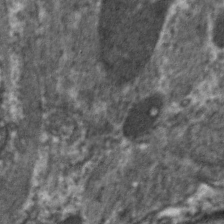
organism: C. elegans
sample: Pharynx